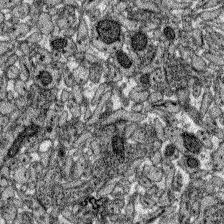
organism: Zebrafish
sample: Larval olfactory bulb